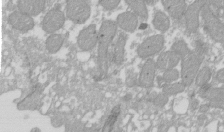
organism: Xenopus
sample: Cilia; centrioles in frog embryo cells